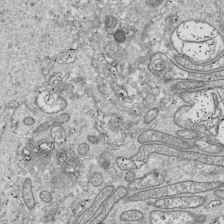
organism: Drosophila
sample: Cell division; meiosis; drosophila spermatocytes